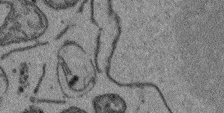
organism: Arabidopsis thaliana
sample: Root tip